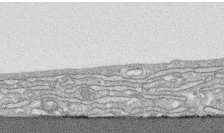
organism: Human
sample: CRL-1474